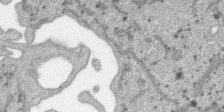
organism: Human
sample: Lung epithelial cells infected with SARS-CoV-2